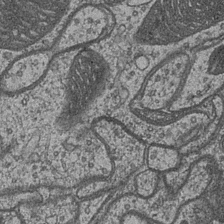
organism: Drosophila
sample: Optic medulla